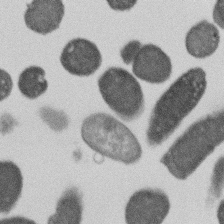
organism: E. coli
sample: Bacterial nucleoid